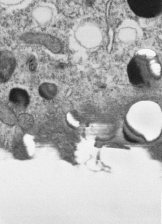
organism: C. elegans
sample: C. elegans embryo early stage